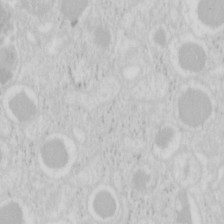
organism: Mouse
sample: Pancreas